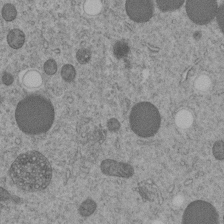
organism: C. elegans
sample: C. elegans embryo early stage